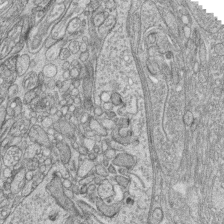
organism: Zebrafish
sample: synaptic ribbons in rod cells and cone cells